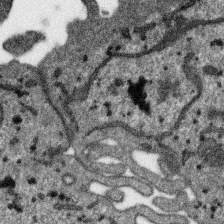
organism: Human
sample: Lung epithelial cells infected with SARS-CoV-2